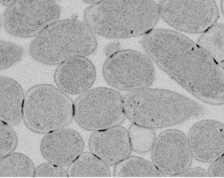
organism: E. coli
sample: Bacterial nucleoid